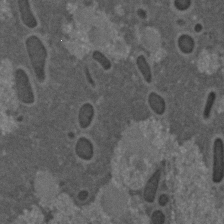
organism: C. elegans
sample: C. elegans embryo